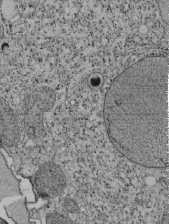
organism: Tetrahymena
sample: Cilia in tetrahymena